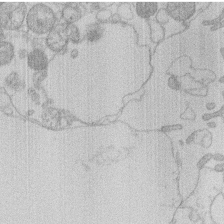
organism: Human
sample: Macrophage cells